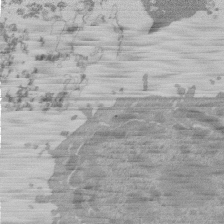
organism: Mouse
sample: Activated Pmel transgenic CD8+ T Cells